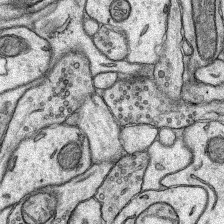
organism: Rat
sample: Hippocampus